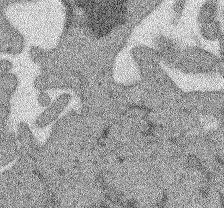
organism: Human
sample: HeLa cells